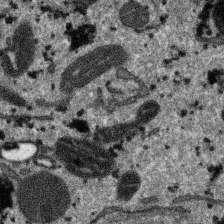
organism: Human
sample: Lung epithelial cells infected with SARS-CoV-2